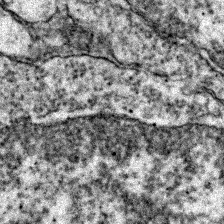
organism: Zebrafish